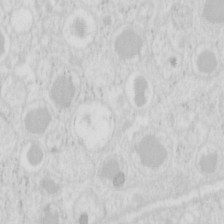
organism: Mouse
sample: Pancreas